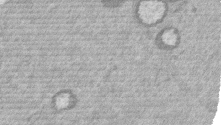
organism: Mouse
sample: Dividing mouse embryo 1 cell stage